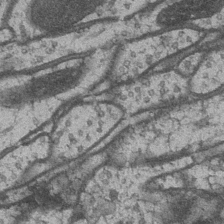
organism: Drosophila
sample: Optic medulla